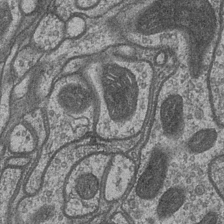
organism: Drosophila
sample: Optic medulla